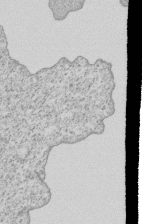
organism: Human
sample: MDA-MB-231 cells